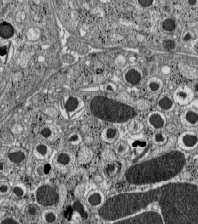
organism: C57BL Mouse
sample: Pancreatic islet